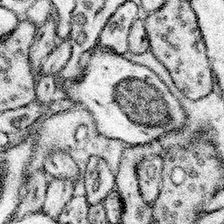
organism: Mouse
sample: Somatosensory cortex neuropil